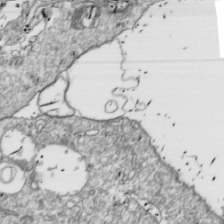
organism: Drosophila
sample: Cell division; meiosis; drosophila spermatocytes